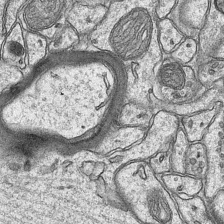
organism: Mouse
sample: CA1 Hippocampus